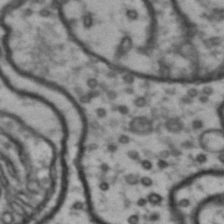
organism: Drosophila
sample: Brain